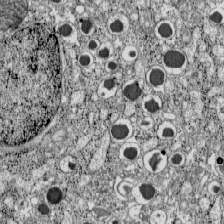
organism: C57BL Mouse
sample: Pancreatic islet